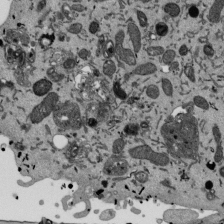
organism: Mouse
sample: ED-1 cell nuclei; centrioles